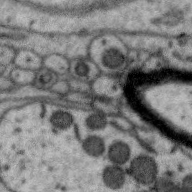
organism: Zebra finch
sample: Brain